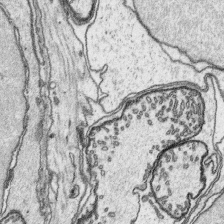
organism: Platynereis dumerilii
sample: Parapodia